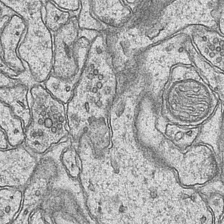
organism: Mouse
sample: CA1 Hippocampus